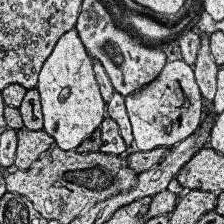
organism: Human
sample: Temporal Lobe